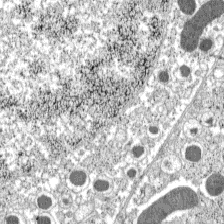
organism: C57BL Mouse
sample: Pancreatic islet